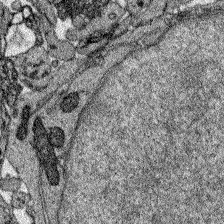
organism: Zebrafish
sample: Larval olfactory bulb